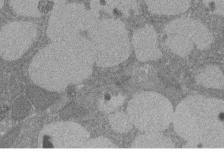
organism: Rat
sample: Salivary granule